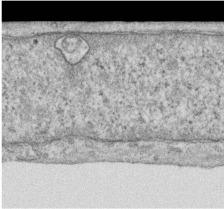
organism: Human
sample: Centriole in RPE cells